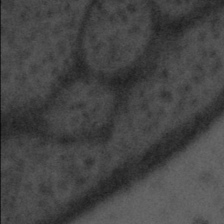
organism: Tuwongella immobilis